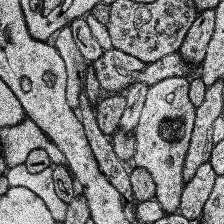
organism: Human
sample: Temporal Lobe